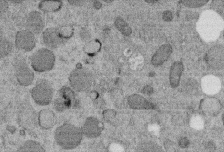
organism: C. elegans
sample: C. elegans embryo early stage